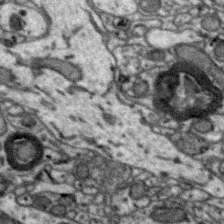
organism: Zebra finch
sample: Brain